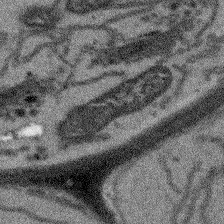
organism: Arabidopsis thaliana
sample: Root tip